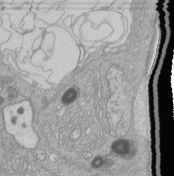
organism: Human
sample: Retinal organoid Rod and Cone cells